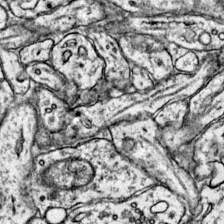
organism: Mouse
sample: Primary visual cortex